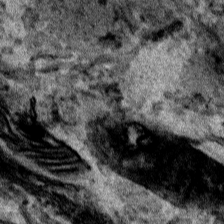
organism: Human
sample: Mitochondria in HCT116 cells